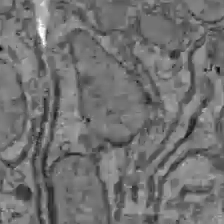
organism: C57BL Mouse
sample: Liver